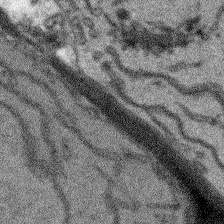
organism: Arabidopsis thaliana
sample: Root tip